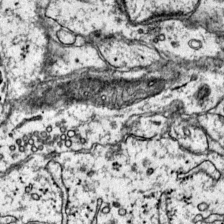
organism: Mouse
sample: Primary visual cortex